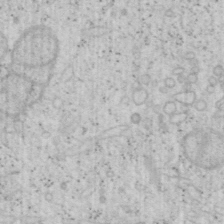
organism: Human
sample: HeLa cells